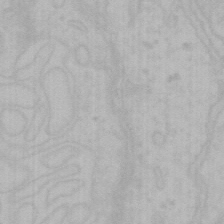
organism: Mouse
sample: Choroid plexus